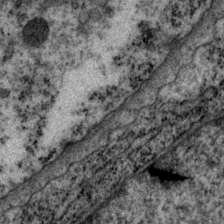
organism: P. pacificus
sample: Pharynx